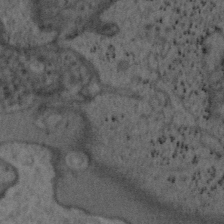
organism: Human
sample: HeLa cells